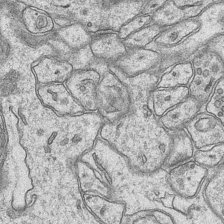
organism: Mouse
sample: CA1 Hippocampus